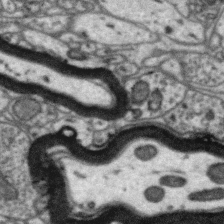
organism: Zebra finch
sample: Brain